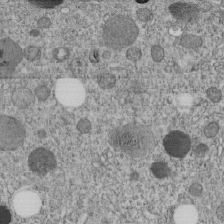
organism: C. elegans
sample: C. elegans embryo early stage